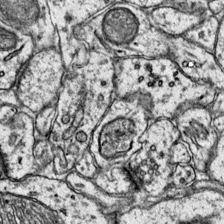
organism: Mouse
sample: Primary visual cortex